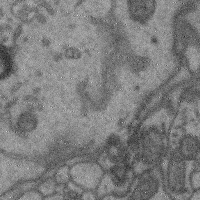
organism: Mouse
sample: Cerebral cortex